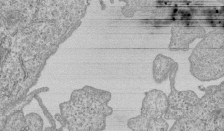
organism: Human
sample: MDA-MB-231 cells